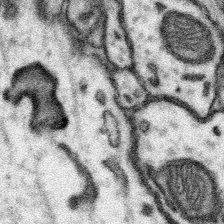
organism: Mouse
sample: Somatosensory cortex neuropil